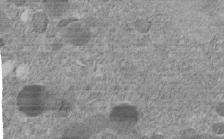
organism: C. elegans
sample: C. elegans embryo early stage